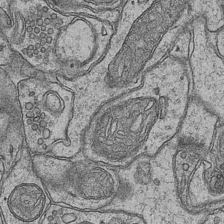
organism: Mouse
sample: CA1 Hippocampus